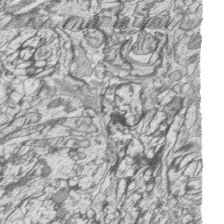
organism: Zebrafish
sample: synaptic ribbons in rod cells and cone cells